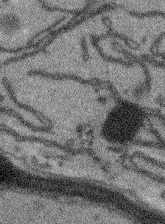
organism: Arabidopsis thaliana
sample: Root tip